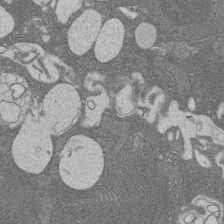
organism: Rat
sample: Salivary granule